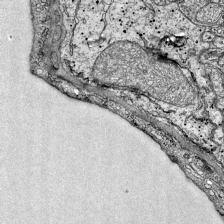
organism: Mouse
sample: Visual Cortex